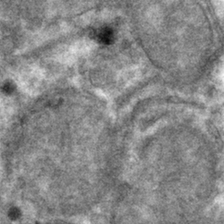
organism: Mouse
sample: Mouse hepatocytes